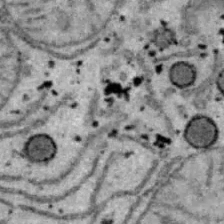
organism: Mouse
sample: Liver from an obese (ob/ob) mouse